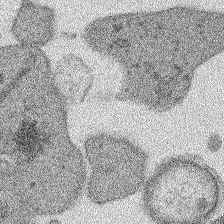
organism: Human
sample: HeLa cells